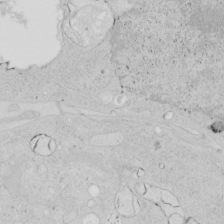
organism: Human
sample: Mitochondria in HCT116 cells